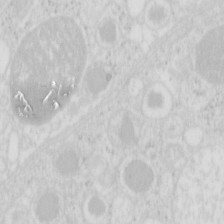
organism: Mouse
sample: Pancreas